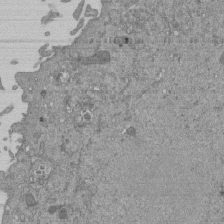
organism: Mouse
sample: ED-1 cell nuclei; centrioles